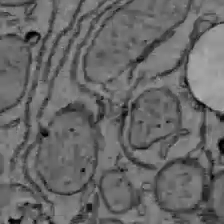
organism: C57BL Mouse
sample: Liver